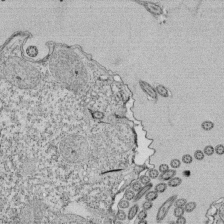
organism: Tetrahymena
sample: Cilia in tetrahymena